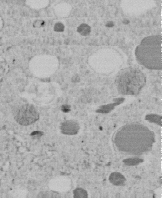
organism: C. elegans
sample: C. elegans embryo early stage